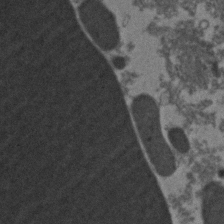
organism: Zebrafish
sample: Zebrafish embryo